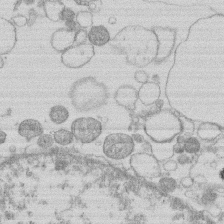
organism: Human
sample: Macrophage cells